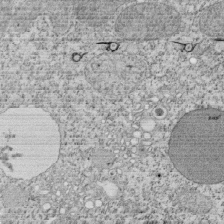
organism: Tetrahymena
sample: Cilia in tetrahymena